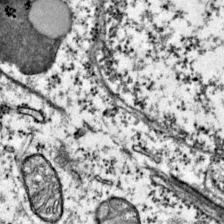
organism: Mouse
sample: Primary visual cortex